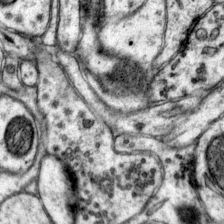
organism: Mouse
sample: Primary visual cortex